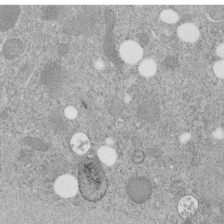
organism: C. elegans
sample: C. elegans embryo early stage